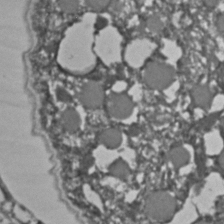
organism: C. elegans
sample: C. elegans embryo